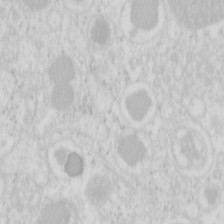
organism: Mouse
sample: Pancreas